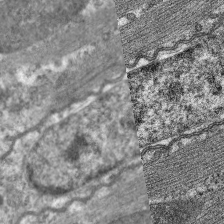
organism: C. elegans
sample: Pharynx